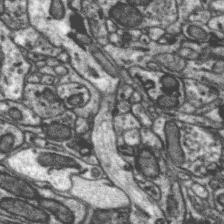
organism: Zebra finch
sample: Brain